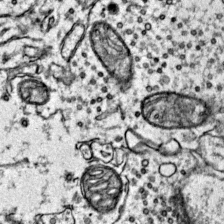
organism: Mouse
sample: Primary visual cortex